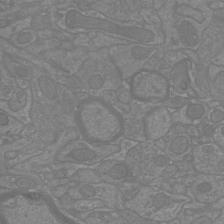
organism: Mouse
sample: Cortical neurons